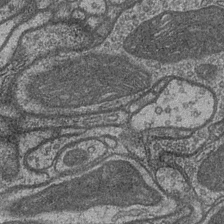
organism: Drosophila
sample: Optic medulla